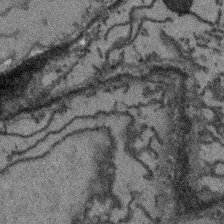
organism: Arabidopsis thaliana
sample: Root tip